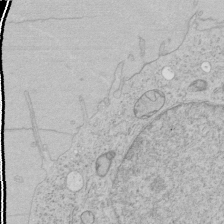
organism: Human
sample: Mitochondria in HCT116 cells